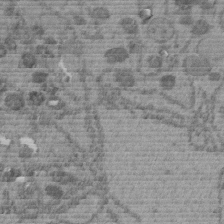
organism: C. elegans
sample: C. elegans embryo early stage